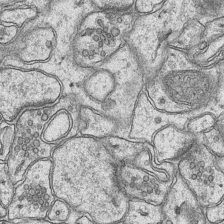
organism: Mouse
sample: CA1 Hippocampus